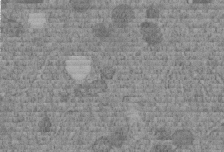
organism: C. elegans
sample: C. elegans embryo early stage